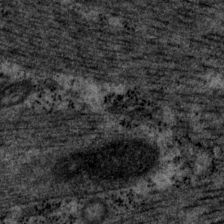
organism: P. pacificus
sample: Pharynx